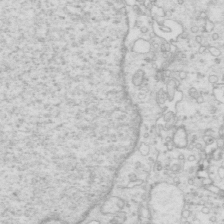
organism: Mouse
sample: Multiciliated cells